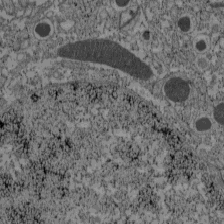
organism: C57BL Mouse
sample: Pancreatic islet